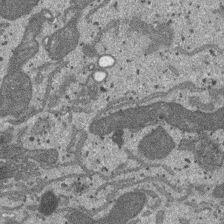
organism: Human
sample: Lung epithelial cells infected with SARS-CoV-2